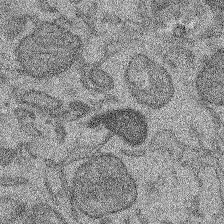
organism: Human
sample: HeLa cells